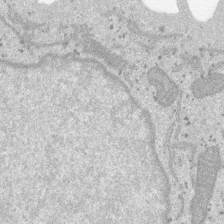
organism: Human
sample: Lung epithelial cells infected with SARS-CoV-2